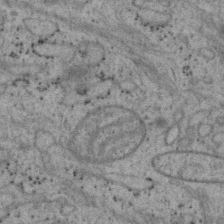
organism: Human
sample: HeLa cells